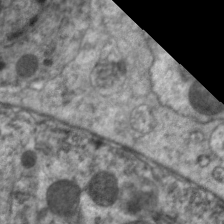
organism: C. elegans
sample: Pharynx